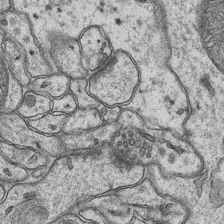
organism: Mouse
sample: CA1 Hippocampus